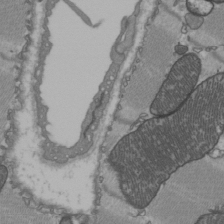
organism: C57BL Mouse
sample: Heart